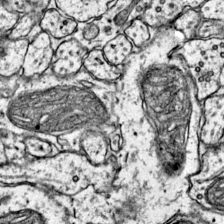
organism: Mouse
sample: Primary visual cortex